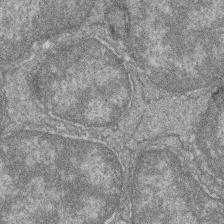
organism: Zebrafish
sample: Cilia; retinal pigment epithelium